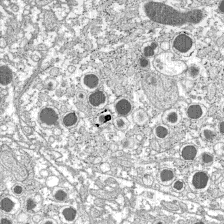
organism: C57BL Mouse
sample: Pancreatic islet